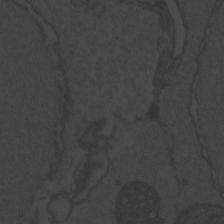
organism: Zebrafish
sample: Macrophage infected with Toxoplasma gondii